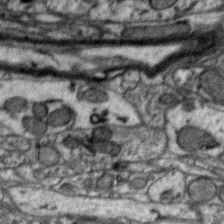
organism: Zebra finch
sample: Brain